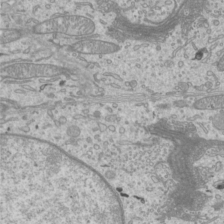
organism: Mouse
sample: Cilia; mouse epididymis